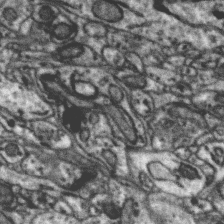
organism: Zebra finch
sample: Brain